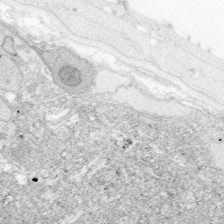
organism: Zebrafish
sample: Whole-Brain